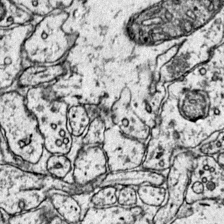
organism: Mouse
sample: Primary visual cortex